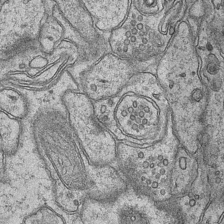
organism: Mouse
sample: CA1 Hippocampus